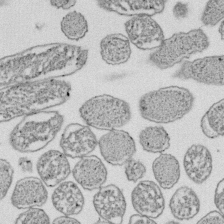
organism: E. coli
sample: Bacterial nucleoid